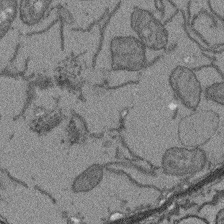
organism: Arabidopsis thaliana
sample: Root tip